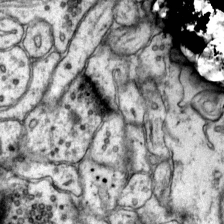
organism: Mouse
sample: Primary visual cortex